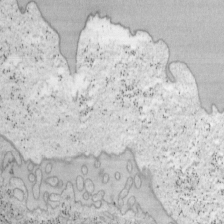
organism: Mouse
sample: OT-I killer T cells with ID8 ovarian cancer cells